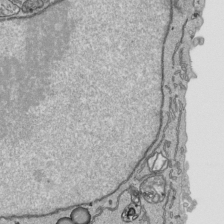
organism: Human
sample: Mitochondria in HCT116 cells